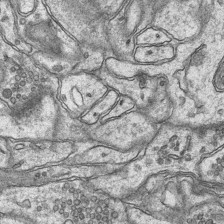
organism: Mouse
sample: CA1 Hippocampus